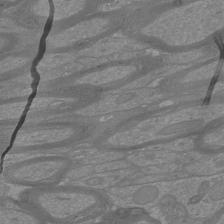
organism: Mouse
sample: Cortical neurons